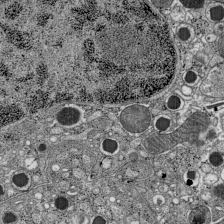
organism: C57BL Mouse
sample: Pancreatic islet